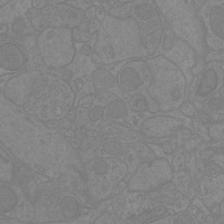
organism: Mouse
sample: Cortical neurons